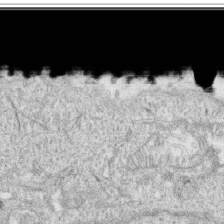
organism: Human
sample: HeLa cell HIV synapse